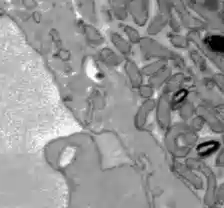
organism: C57BL Mouse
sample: Liver